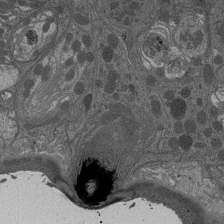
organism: Drosophila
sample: Antenna